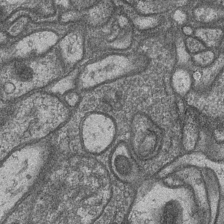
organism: Drosophila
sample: Optic medulla